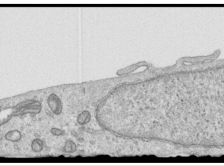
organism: Human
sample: Centriole in RPE cells